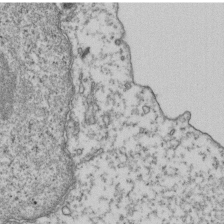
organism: Human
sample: Activated Jurkat CD4+ T cells